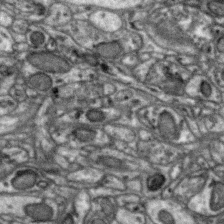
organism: Zebra finch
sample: Brain